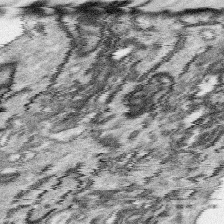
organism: Human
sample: HeLa cells